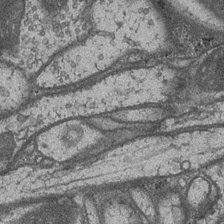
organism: Drosophila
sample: Optic medulla